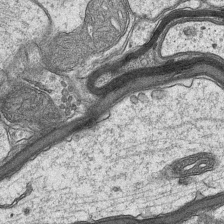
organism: Mouse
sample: CA1 Hippocampus